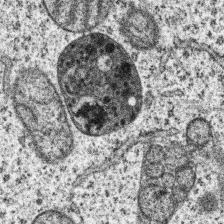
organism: Human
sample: HeLa cells